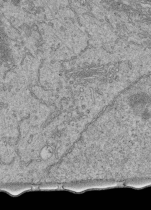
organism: Human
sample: Retinal organoid Rod and Cone cells